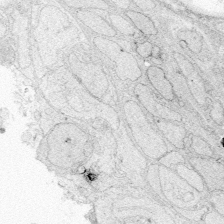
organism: Zebrafish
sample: Whole-Brain